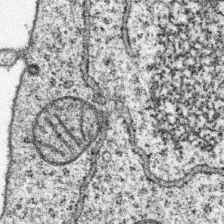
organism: Human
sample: HeLa cells